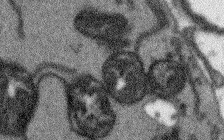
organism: Arabidopsis thaliana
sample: Root tip